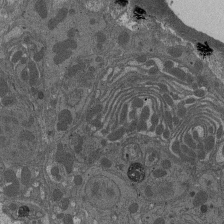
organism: Drosophila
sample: Antenna